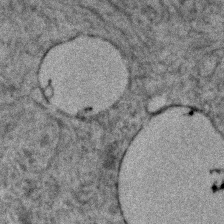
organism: Human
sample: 1205lu cells